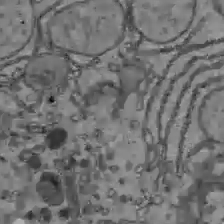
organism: C57BL Mouse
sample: Liver